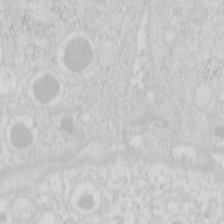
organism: Mouse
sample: Pancreas